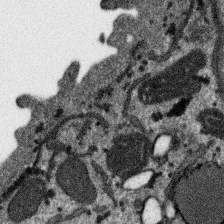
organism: Human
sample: Lung epithelial cells infected with SARS-CoV-2